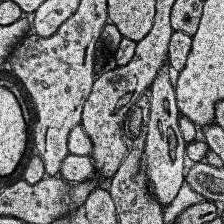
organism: Human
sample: Temporal Lobe